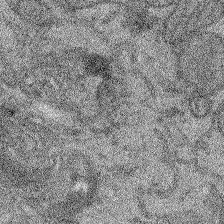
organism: Human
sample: HeLa cells